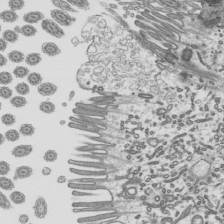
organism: Mouse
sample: Mouse epididymis efferent ductule cilia